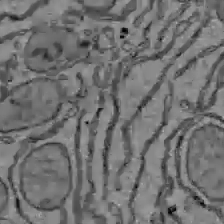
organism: C57BL Mouse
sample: Liver